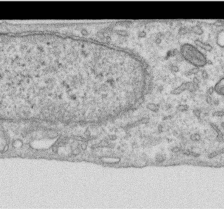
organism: Human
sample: Centriole in RPE cells